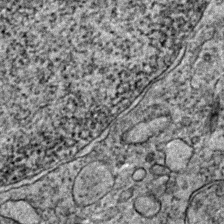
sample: Trachea